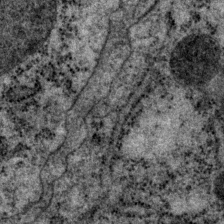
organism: P. pacificus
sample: Pharynx